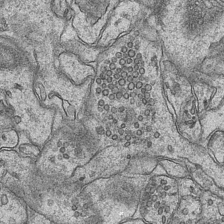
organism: Mouse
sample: CA1 Hippocampus